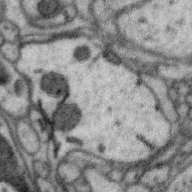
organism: Zebra finch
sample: Brain